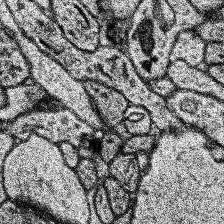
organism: Human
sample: Temporal Lobe